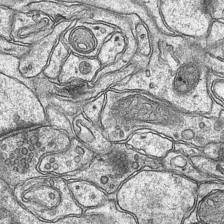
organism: Mouse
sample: CA1 Hippocampus